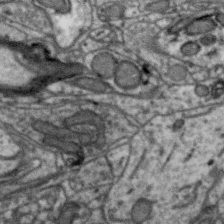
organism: Zebra finch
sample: Brain